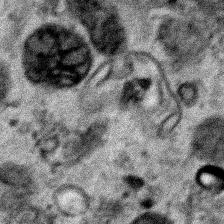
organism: Human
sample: Mitochondria in HCT116 cells